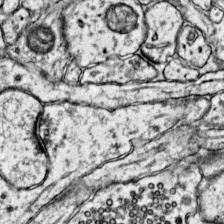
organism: Mouse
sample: Primary visual cortex